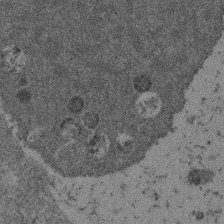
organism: Mouse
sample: Dividing mouse embryo 1 cell stage